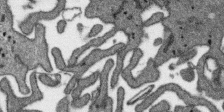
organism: Human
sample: Lung epithelial cells, uninfected (mock) control